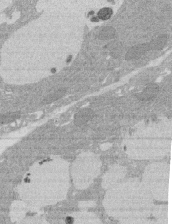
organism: Rat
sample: Salivary granule